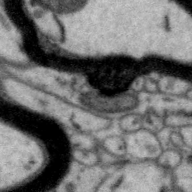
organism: Zebra finch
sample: Brain